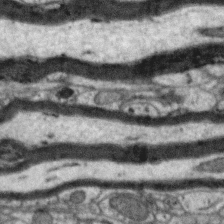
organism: Zebra finch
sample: Brain